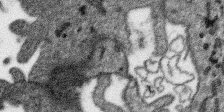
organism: Human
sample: Lung epithelial cells infected with SARS-CoV-2